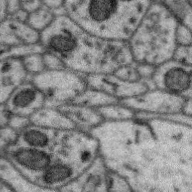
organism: Zebra finch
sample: Brain